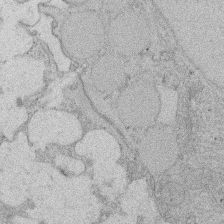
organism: Rat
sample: Salivary granule